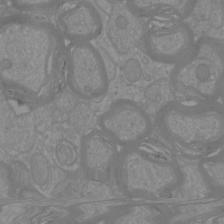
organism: Mouse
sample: Cortical neurons